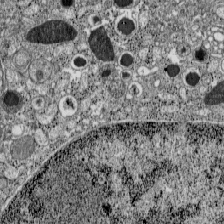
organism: C57BL Mouse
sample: Pancreatic islet